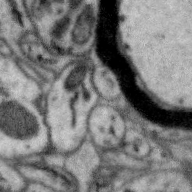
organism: Zebra finch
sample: Brain